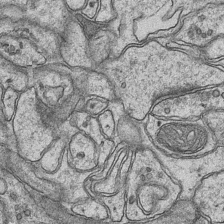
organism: Mouse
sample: CA1 Hippocampus